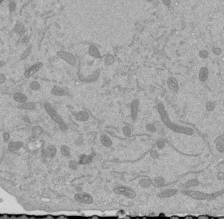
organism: Mouse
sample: ED-1 cell nuclei; centrioles